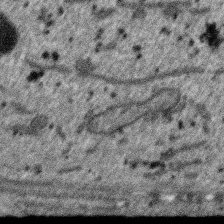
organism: Human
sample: Lung epithelial cells infected with SARS-CoV-2